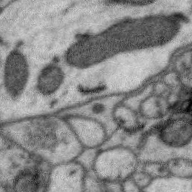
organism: Zebra finch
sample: Brain